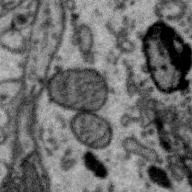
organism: Zebra finch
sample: Brain